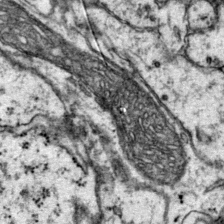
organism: Mouse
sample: Primary visual cortex